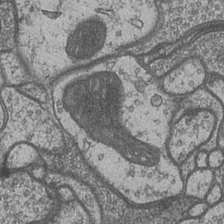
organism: Drosophila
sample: Optic medulla